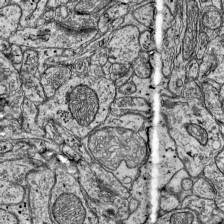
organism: Mouse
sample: Visual Cortex